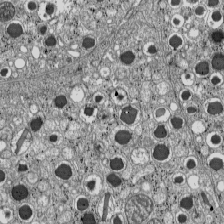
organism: C57BL Mouse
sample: Pancreatic islet